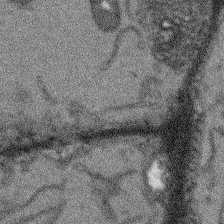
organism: Arabidopsis thaliana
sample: Root tip